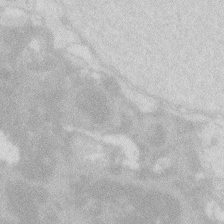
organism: Zebrafish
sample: Macrophage